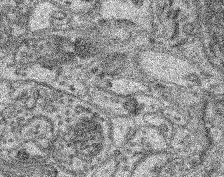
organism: Mouse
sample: Retina